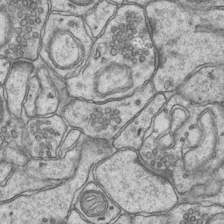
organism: Mouse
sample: CA1 Hippocampus